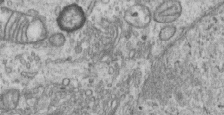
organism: Human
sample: Centriole in RPE cells